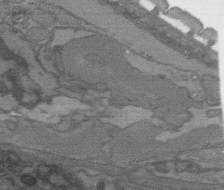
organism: C. elegans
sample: AFD neurons C. elegans